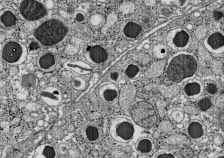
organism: C57BL Mouse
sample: Pancreatic islet